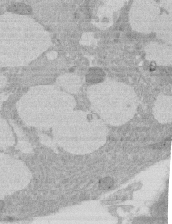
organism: Rat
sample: Salivary granule